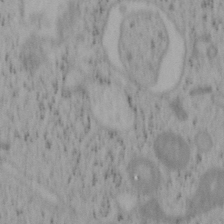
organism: Mouse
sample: OT-I killer T cells with ID8 ovarian cancer cells